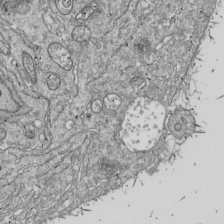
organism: Drosophila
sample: Cell division; meiosis; drosophila spermatocytes